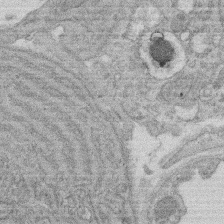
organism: Rat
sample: Salivary granule